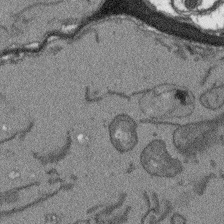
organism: Arabidopsis thaliana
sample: Root tip